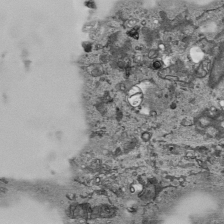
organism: Human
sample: Mitochondria in HCT116 cells